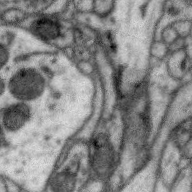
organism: Zebra finch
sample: Brain